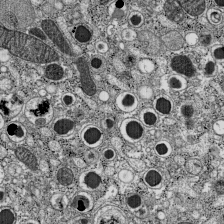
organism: C57BL Mouse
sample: Pancreatic islet